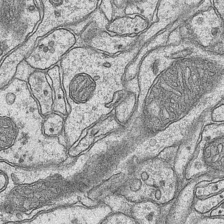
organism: Mouse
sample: CA1 Hippocampus